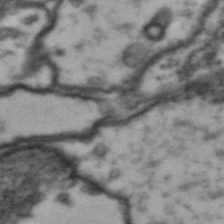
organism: Drosophila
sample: Brain